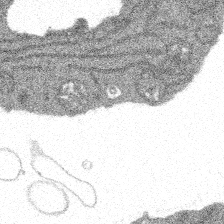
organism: Spongilla lacustris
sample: Multiple